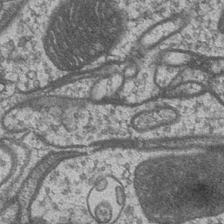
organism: Drosophila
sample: Optic medulla